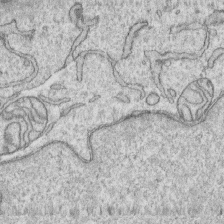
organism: Human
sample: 1205lu cells